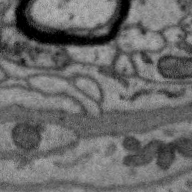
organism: Zebra finch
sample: Brain